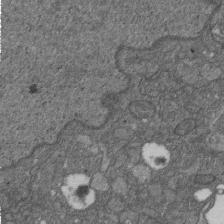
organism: Drosophila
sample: Nephrocyte